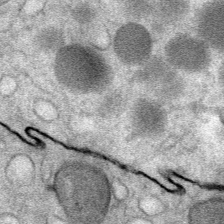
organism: Mouse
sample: Mouse Salivary gland